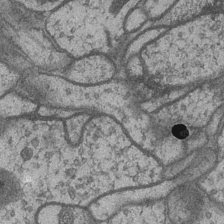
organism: Drosophila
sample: Optic medulla